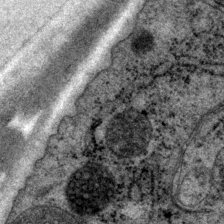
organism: P. pacificus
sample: Pharynx